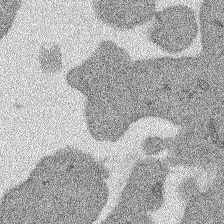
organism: Human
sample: HeLa cells